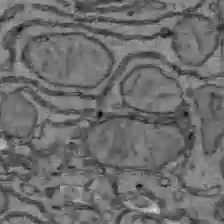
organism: C57BL Mouse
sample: Liver